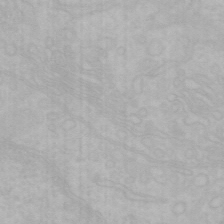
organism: Mouse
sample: Choroid plexus